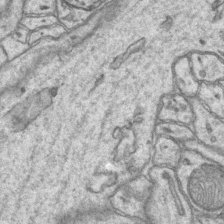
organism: Mouse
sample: CA1 Hippocampus